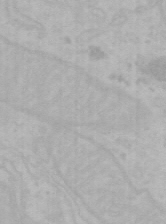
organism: Mouse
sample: Choroid plexus